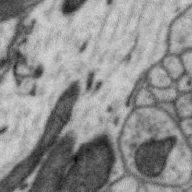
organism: Zebra finch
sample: Brain